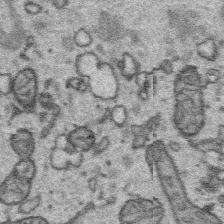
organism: Platynereis dumerilii